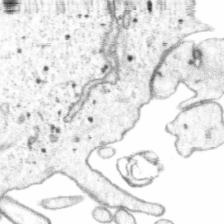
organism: Human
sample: HeLa cells